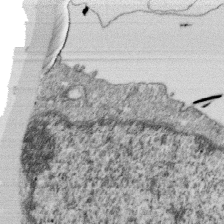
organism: African green monkey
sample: Vero E6 cells infected with SARS-CoV-2